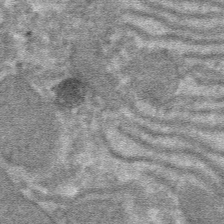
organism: Mouse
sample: Mouse hepatocytes